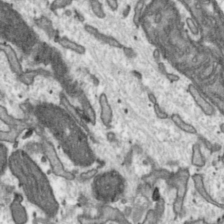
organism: Toxoplasma gondii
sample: Parasites in a vacuole inside a host cell